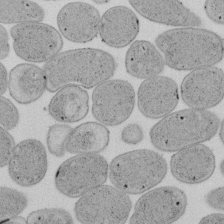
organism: E. coli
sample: Bacterial nucleoid